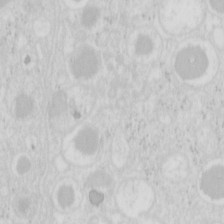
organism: Mouse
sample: Pancreas